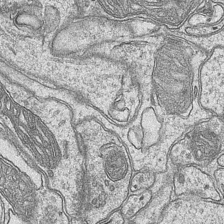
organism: Mouse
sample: CA1 Hippocampus